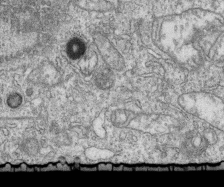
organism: Human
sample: HeLa cell HIV synapse